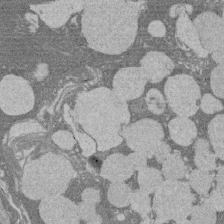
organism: Rat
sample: Salivary granule